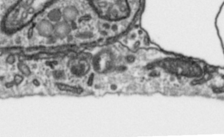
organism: Toxoplasma gondii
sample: Parasites in a vacuole inside a host cell